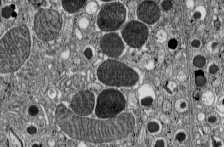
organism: C57BL Mouse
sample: Pancreatic islet